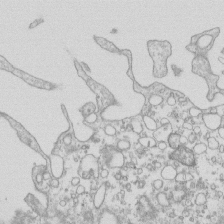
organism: Mouse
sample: Macrophages